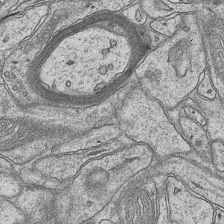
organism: Mouse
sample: CA1 Hippocampus